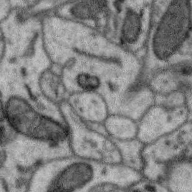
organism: Zebra finch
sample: Brain